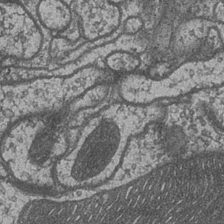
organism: Drosophila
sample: Optic medulla